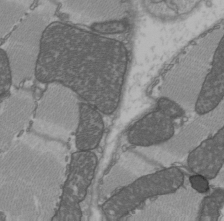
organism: C57BL Mouse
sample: Heart